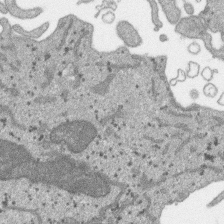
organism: Human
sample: Lung epithelial cells infected with SARS-CoV-2